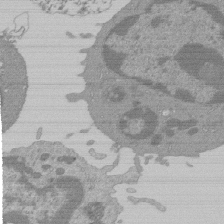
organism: Mouse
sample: Activated Pmel transgenic CD8+ T Cells